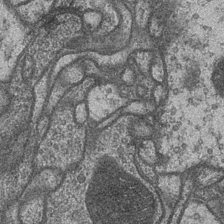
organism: Drosophila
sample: Optic medulla